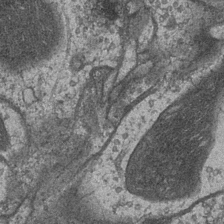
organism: Drosophila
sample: Optic medulla